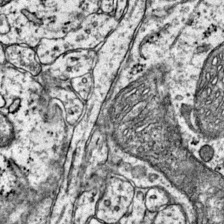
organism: Mouse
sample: Primary visual cortex